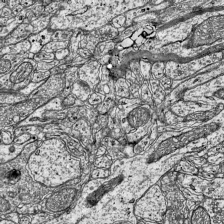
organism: Mouse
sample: Visual Cortex